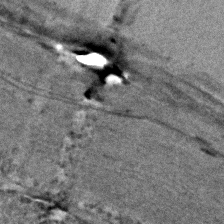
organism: C. elegans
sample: C. elegans embryo